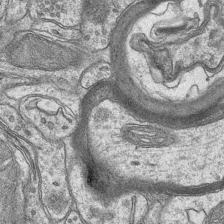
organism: Mouse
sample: CA1 Hippocampus